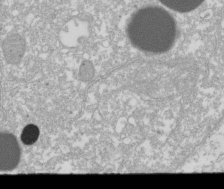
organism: Xenopus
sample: Cilia; centrioles in frog embryo cells